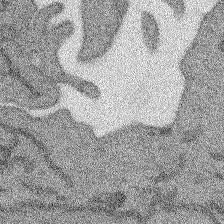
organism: Human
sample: HeLa cells